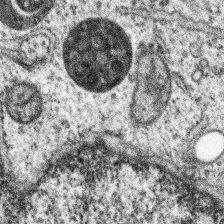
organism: Human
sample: HeLa cells